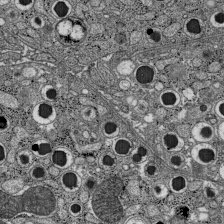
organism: C57BL Mouse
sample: Pancreatic islet